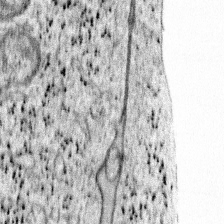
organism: Human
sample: HeLa cells